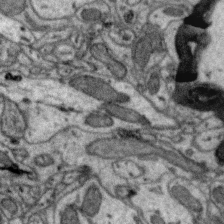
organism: Zebra finch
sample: Brain